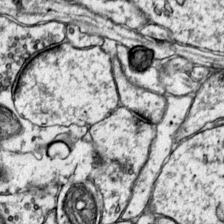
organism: Mouse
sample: Primary visual cortex